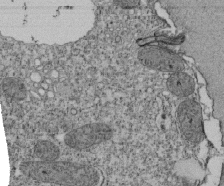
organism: Tetrahymena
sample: Cilia in tetrahymena